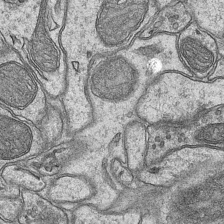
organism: Mouse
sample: CA1 Hippocampus